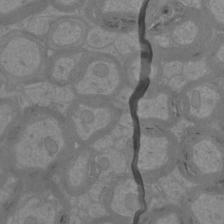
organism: Mouse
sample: Cortical neurons